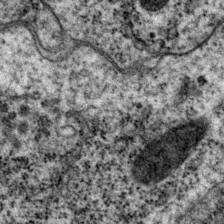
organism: P. pacificus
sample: Pharynx